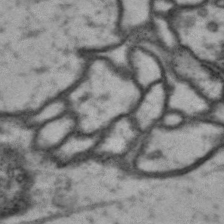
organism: Drosophila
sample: Brain